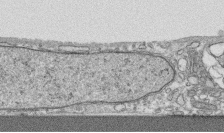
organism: Human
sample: CRL-1474